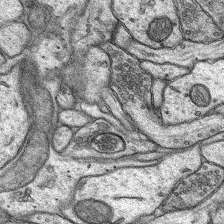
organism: Rat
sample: Hippocampus